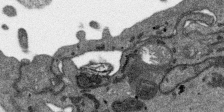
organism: Human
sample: Lung epithelial cells, uninfected (mock) control